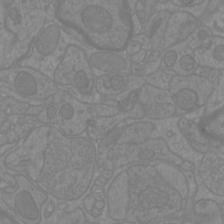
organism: Mouse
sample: Cortical neurons